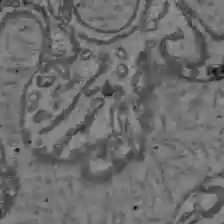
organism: C57BL Mouse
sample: Liver